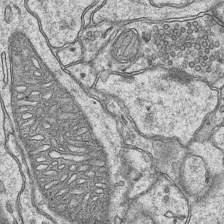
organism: Mouse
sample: CA1 Hippocampus